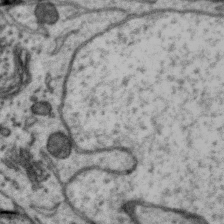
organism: Zebra finch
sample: Brain